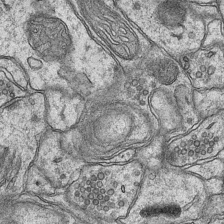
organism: Mouse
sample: CA1 Hippocampus